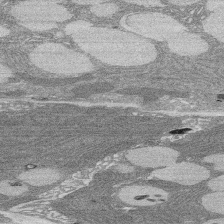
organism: Rat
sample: Salivary granule